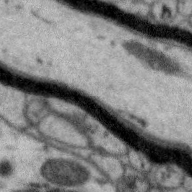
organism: Zebra finch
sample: Brain